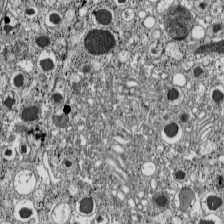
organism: C57BL Mouse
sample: Pancreatic islet